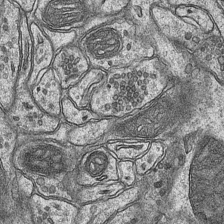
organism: Mouse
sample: CA1 Hippocampus